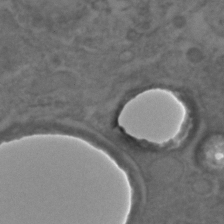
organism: C. elegans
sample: C. elegans embryo